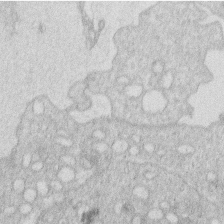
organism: Human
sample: Macrophage cells